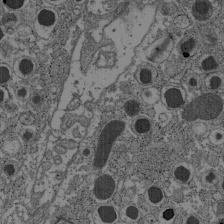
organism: C57BL Mouse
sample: Pancreatic islet